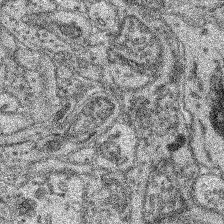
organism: Mouse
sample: Retina